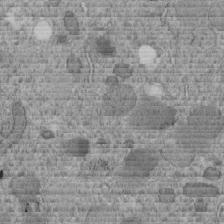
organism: C. elegans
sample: C. elegans embryo early stage